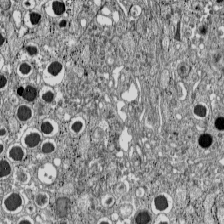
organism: C57BL Mouse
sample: Pancreatic islet